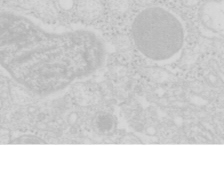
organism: Mouse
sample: Pancreas